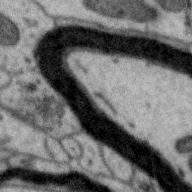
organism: Zebra finch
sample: Brain